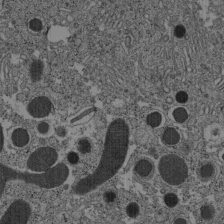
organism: C57BL Mouse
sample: Pancreatic islet